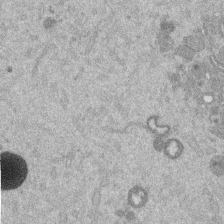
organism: Mouse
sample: Dividing mouse embryo 1 cell stage